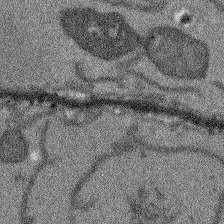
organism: Arabidopsis thaliana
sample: Root tip